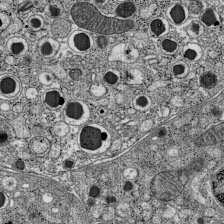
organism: C57BL Mouse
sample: Pancreatic islet